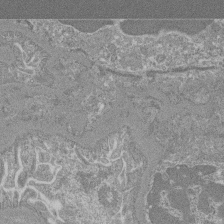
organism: Mouse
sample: Glomerulus